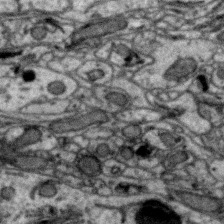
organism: Zebra finch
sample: Brain